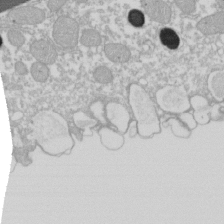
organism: Xenopus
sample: Cilia; centrioles in frog embryo cells